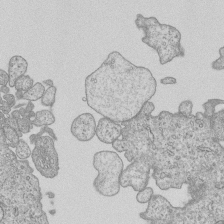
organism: Human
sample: MDA-MB-231 cells